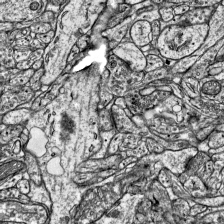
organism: Mouse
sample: Visual Cortex